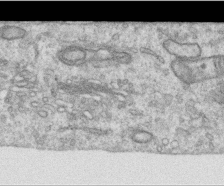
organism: Human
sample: Centriole in RPE cells